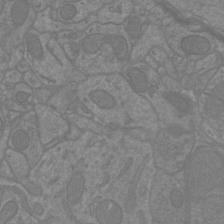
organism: Mouse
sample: Cortical neurons